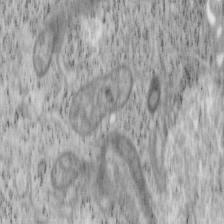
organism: Human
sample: HeLa cells